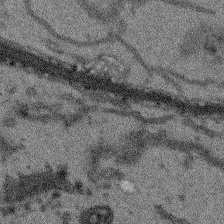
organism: Arabidopsis thaliana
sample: Root tip